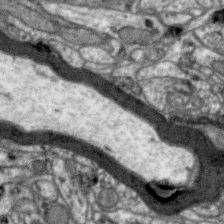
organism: Zebra finch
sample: Brain